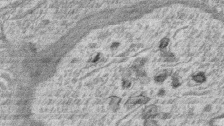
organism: Zebrafish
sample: synaptic ribbons in rod cells and cone cells